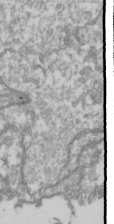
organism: Drosophila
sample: Cell division; meiosis; drosophila spermatocytes